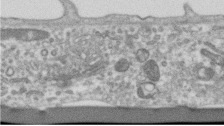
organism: Human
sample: Centriole in RPE cells